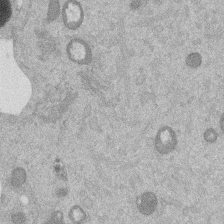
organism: Mouse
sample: Dividing mouse embryo 1 cell stage